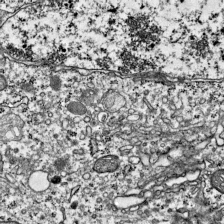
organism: Mouse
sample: Visual Cortex